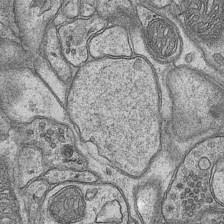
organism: Mouse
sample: CA1 Hippocampus